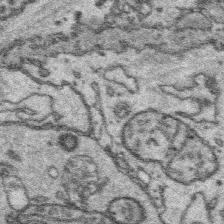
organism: Platynereis dumerilii